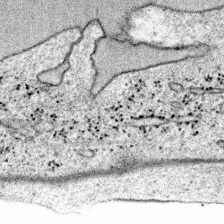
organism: Human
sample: HeLa cells